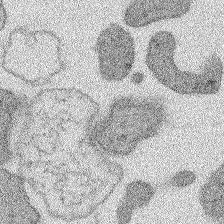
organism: Human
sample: HeLa cells